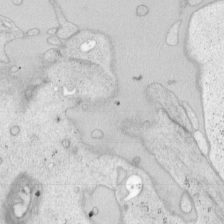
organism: Mouse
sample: OT-I killer T cells with ID8 ovarian cancer cells